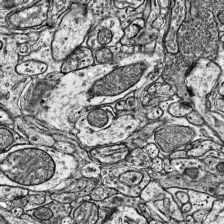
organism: Mouse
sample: Visual Cortex